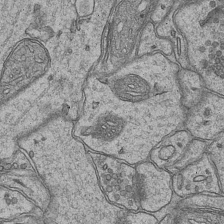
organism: Mouse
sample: CA1 Hippocampus